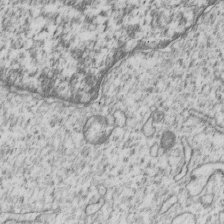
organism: Human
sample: MDA-MB-231 cells